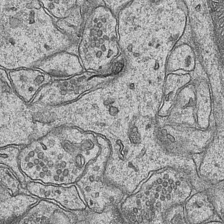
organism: Mouse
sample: CA1 Hippocampus